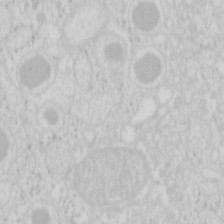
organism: Mouse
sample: Pancreas